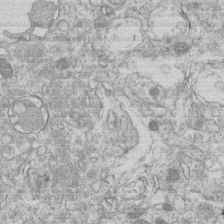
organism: Human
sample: Macrophage cells